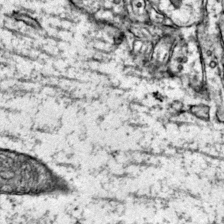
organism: Mouse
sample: Primary visual cortex